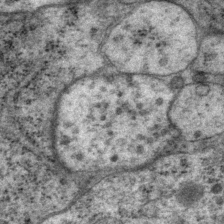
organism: P. pacificus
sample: Pharynx